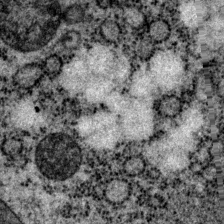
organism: P. pacificus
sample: Pharynx